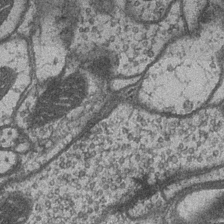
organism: Drosophila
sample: Optic medulla